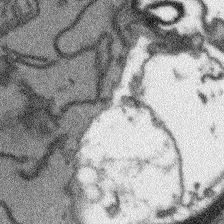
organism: Arabidopsis thaliana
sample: Root tip